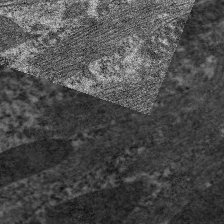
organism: C. elegans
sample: Pharynx